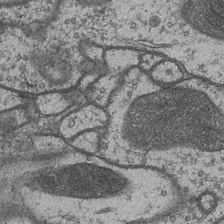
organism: Drosophila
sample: Optic medulla